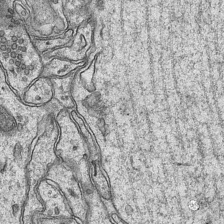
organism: Mouse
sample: CA1 Hippocampus